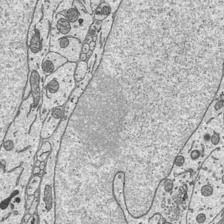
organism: Mouse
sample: Suprachiasmatic nucleus